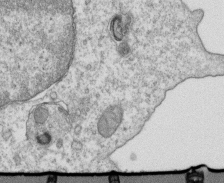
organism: Mouse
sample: Activated OT-1 CD8+ T cells